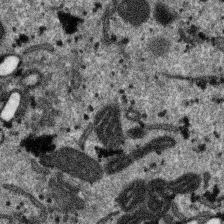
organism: Human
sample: Lung epithelial cells infected with SARS-CoV-2